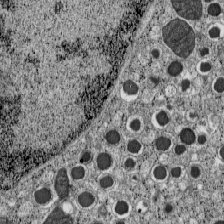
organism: C57BL Mouse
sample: Pancreatic islet